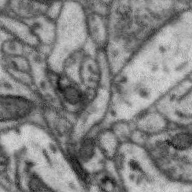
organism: Zebra finch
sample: Brain